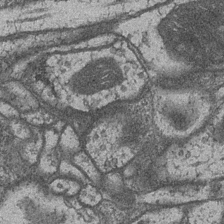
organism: Drosophila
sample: Optic medulla